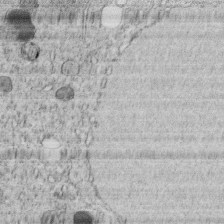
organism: C. elegans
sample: C. elegans embryo early stage